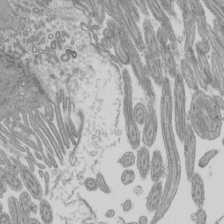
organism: Mouse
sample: Cilia; mouse epididymis